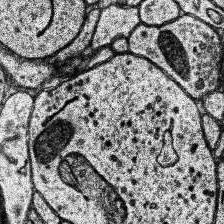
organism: Human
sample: Temporal Lobe